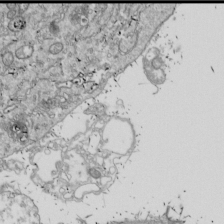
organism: Drosophila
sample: Cell division; meiosis; drosophila spermatocytes